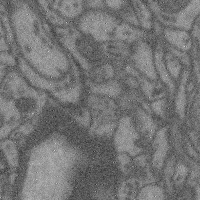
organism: Mouse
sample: Cerebral cortex